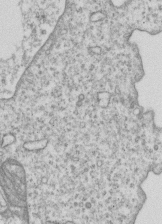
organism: Human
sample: MDA-MB-231 cells